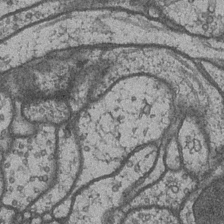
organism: Drosophila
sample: Optic medulla